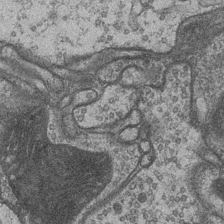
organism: Drosophila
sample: Optic medulla